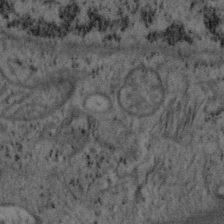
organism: Human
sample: HeLa cells